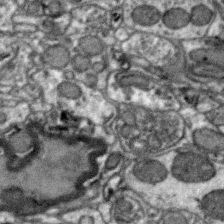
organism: Zebra finch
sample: Brain